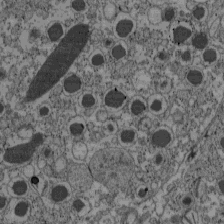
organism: C57BL Mouse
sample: Pancreatic islet